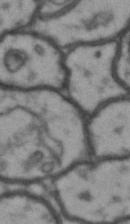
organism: Drosophila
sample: Brain